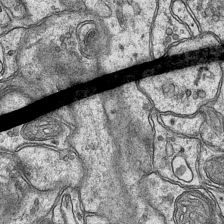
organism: Mouse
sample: CA1 Hippocampus